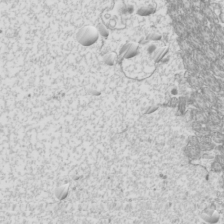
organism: Mouse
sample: Cilia; mouse epididymis